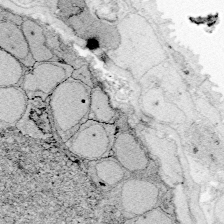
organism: Zebrafish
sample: Whole-Brain